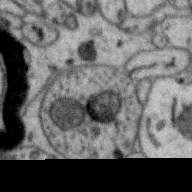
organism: Zebra finch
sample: Brain